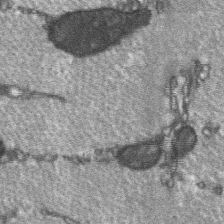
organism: C57BL Mouse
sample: Soleus